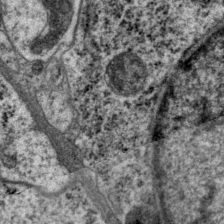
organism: P. pacificus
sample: Pharynx